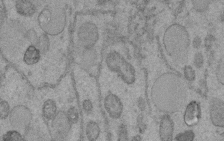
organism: C. elegans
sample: C. elegans embryo early stage